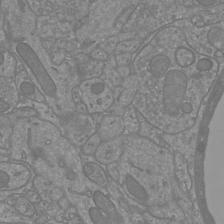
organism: Mouse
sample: Cortical neurons